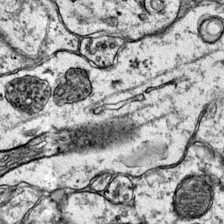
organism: Mouse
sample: Primary visual cortex